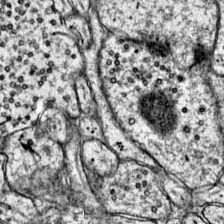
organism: Mouse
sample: Primary visual cortex